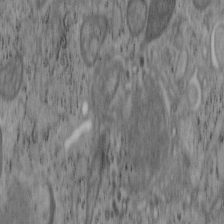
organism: Human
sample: HeLa cells